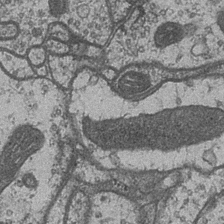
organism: Drosophila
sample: Optic medulla